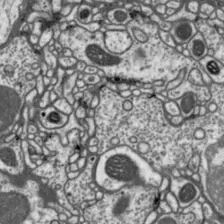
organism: Drosophila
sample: Protocerebral bridge